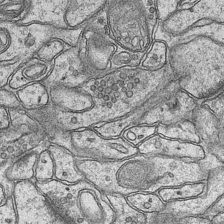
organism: Mouse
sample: CA1 Hippocampus